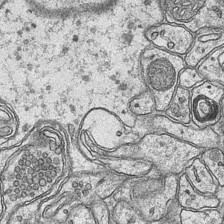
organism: Mouse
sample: CA1 Hippocampus